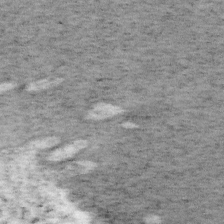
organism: Mouse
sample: OT-I killer T cells with ID8 ovarian cancer cells